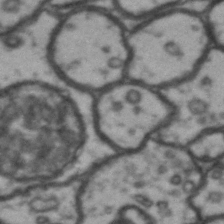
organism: Drosophila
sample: Brain